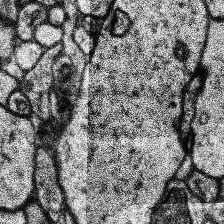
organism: Human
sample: Temporal Lobe